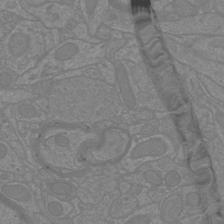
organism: Mouse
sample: Cortical neurons